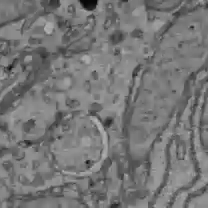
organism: C57BL Mouse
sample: Liver